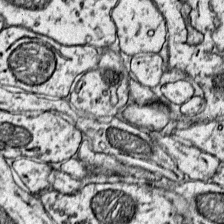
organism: Mouse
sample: Primary visual cortex